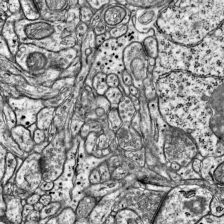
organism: Mouse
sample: Visual Cortex